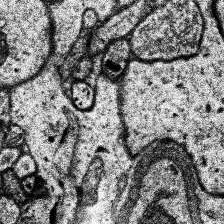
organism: Human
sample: Temporal Lobe